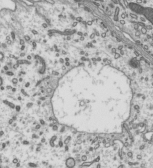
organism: Mouse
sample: Mouse epididymis efferent ductule cilia